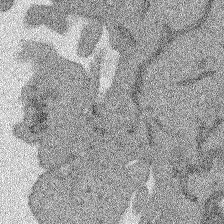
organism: Human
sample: HeLa cells